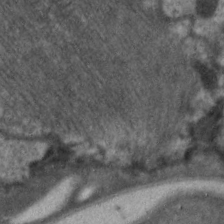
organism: C. elegans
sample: Pharynx